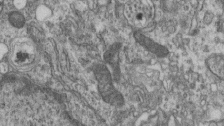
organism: Mouse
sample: Centriole in ependymal cells